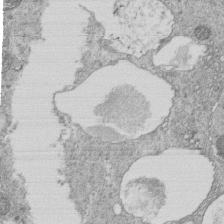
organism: Tetrahymena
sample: Cilia in tetrahymena